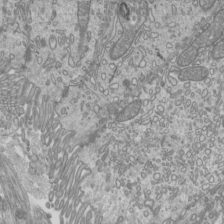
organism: Mouse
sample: Cilia; mouse epididymis